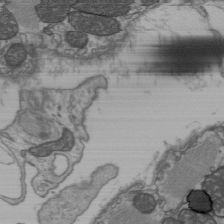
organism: C57BL Mouse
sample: Heart